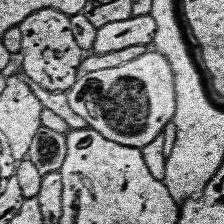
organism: Human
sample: Temporal Lobe